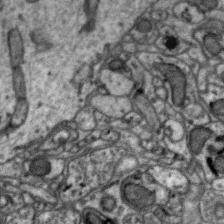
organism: Zebra finch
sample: Brain